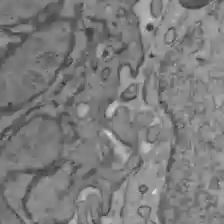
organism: C57BL Mouse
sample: Liver